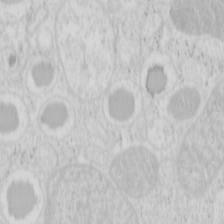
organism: Mouse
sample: Pancreas